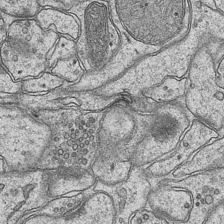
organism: Mouse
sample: CA1 Hippocampus